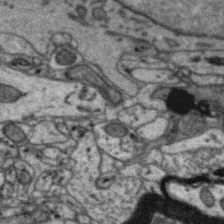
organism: Zebra finch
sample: Brain